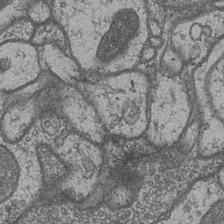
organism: Drosophila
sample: Optic medulla